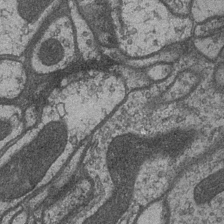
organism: Drosophila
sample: Optic medulla